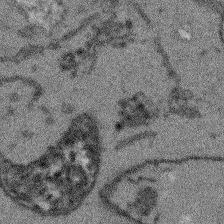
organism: Arabidopsis thaliana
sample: Root tip